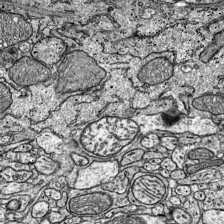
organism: Mouse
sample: Visual Cortex